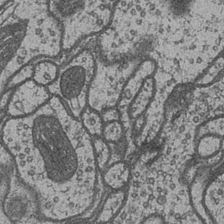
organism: Drosophila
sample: Optic medulla